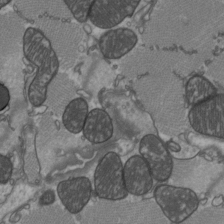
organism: C57BL Mouse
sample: Heart